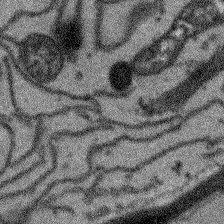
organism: Arabidopsis thaliana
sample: Root tip